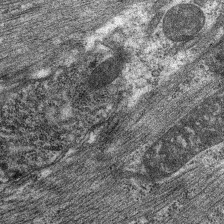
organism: C. elegans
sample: Pharynx